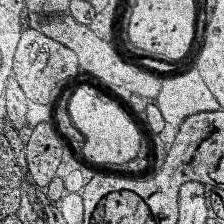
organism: Human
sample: Temporal Lobe